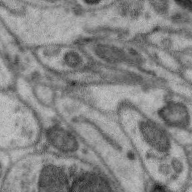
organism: Zebra finch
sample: Brain